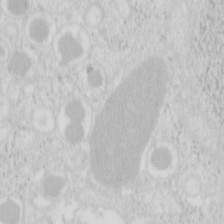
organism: Mouse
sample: Pancreas